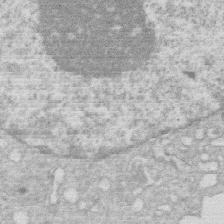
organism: Human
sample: Macrophage cells